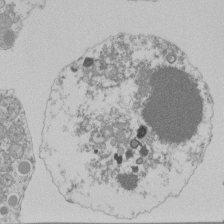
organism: Mouse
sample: Activated Pmel transgenic CD8+ T Cells